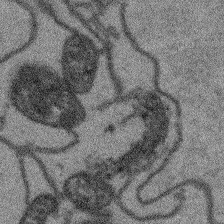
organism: Arabidopsis thaliana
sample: Root tip